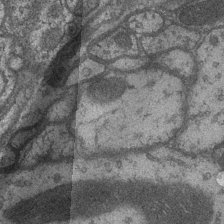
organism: Drosophila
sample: Optic medulla